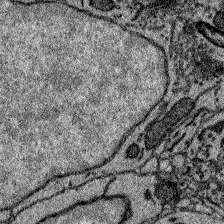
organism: Zebrafish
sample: Larval olfactory bulb